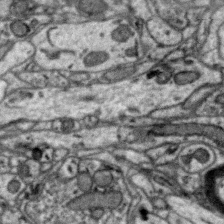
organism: Zebra finch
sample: Brain